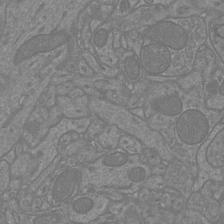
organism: Mouse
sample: Cortical neurons